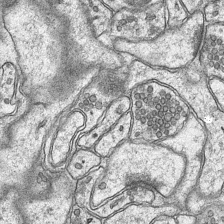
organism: Mouse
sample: CA1 Hippocampus